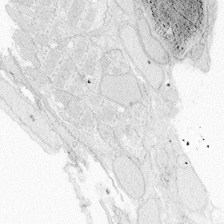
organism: Zebrafish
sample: Whole-Brain